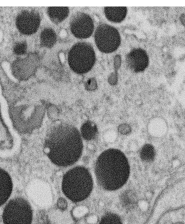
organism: C. elegans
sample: C. elegans oocyte; sperm cells